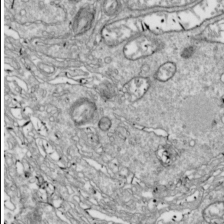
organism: Drosophila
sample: Cell division; meiosis; drosophila spermatocytes